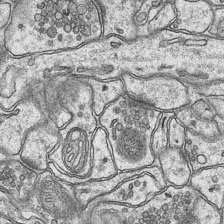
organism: Mouse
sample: CA1 Hippocampus